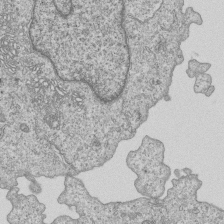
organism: Human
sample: MDA-MB-231 cells